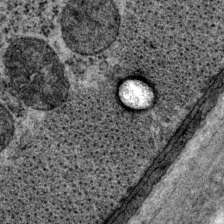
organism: P. pacificus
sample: Pharynx